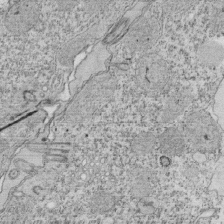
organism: Tetrahymena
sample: Cilia in tetrahymena